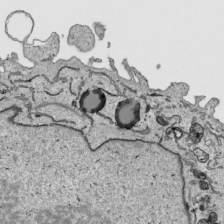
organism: Human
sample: Mitochondria in HCT116 cells